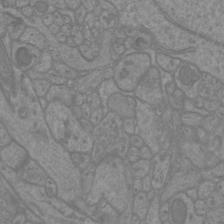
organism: Mouse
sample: Cortical neurons